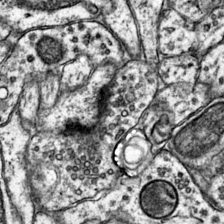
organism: Mouse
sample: Primary visual cortex